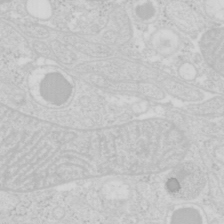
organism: Mouse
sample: Pancreas